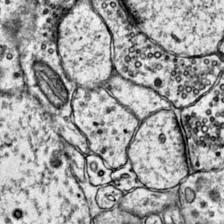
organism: Mouse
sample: Primary visual cortex